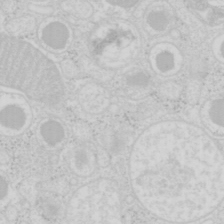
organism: Mouse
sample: Pancreas